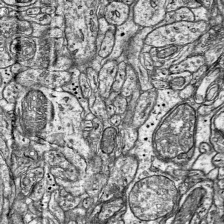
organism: Mouse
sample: Visual Cortex